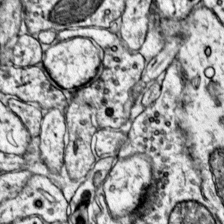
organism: Mouse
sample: Primary visual cortex